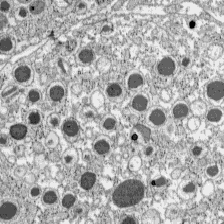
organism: C57BL Mouse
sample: Pancreatic islet